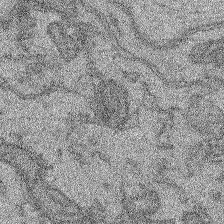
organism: Human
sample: HeLa cells